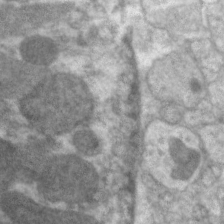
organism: C. elegans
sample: Pharynx